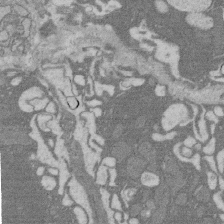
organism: Rat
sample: Salivary granule